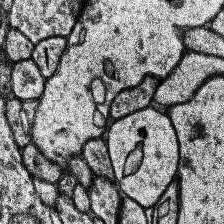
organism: Human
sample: Temporal Lobe